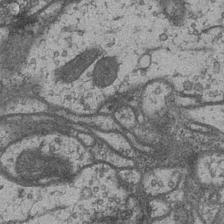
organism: Drosophila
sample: Optic medulla